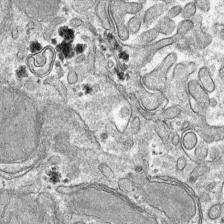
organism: Mouse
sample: Mouse hepatocytes